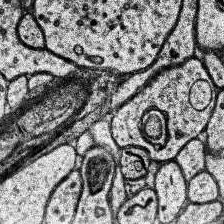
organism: Human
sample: Temporal Lobe